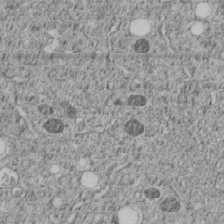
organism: C. elegans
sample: C. elegans embryo early stage